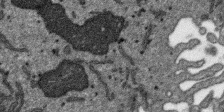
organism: Human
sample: Lung epithelial cells infected with SARS-CoV-2